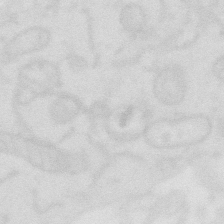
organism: Human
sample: HeLa cells